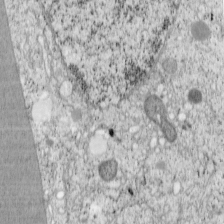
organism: African green monkey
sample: COS-7 cells